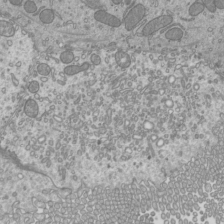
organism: Mouse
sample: Cilia; mouse epididymis